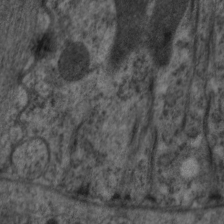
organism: C. elegans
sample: Pharynx